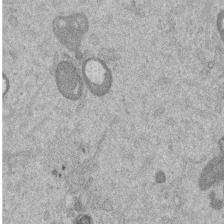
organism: Mouse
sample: Dividing mouse embryo 1 cell stage